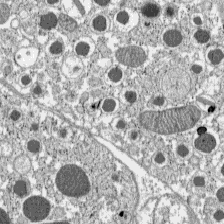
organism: C57BL Mouse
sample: Pancreatic islet